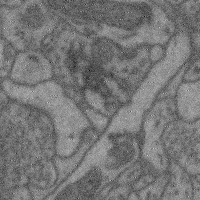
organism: Mouse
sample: Cerebral cortex